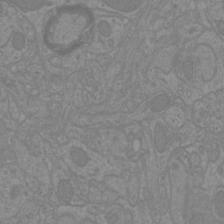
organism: Mouse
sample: Cortical neurons